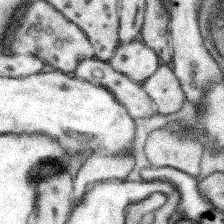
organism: Mouse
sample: Somatosensory cortex neuropil